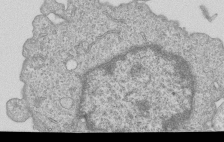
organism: Human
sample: MDA-MB-231 cells